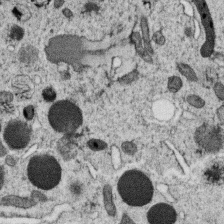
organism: C. elegans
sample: C. elegans oocyte; sperm cells